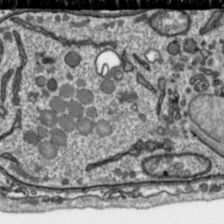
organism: Toxoplasma gondii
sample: Parasites in a vacuole inside a host cell